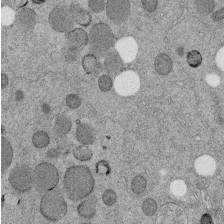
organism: C. elegans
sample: C. elegans embryo early stage